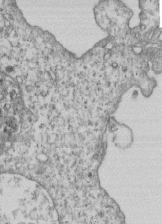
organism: Human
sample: MDA-MB-231 cells